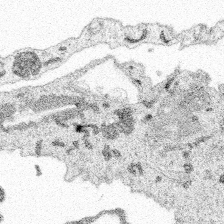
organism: Spongilla lacustris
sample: Multiple